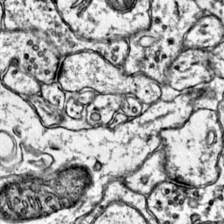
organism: Mouse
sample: Primary visual cortex